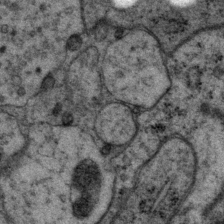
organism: P. pacificus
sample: Pharynx